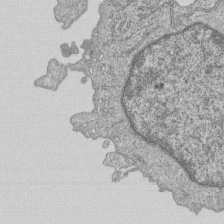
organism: Human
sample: MDA-MB-231 cells